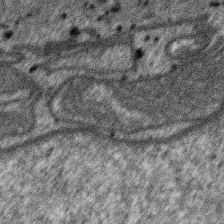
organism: Human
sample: Lung epithelial cells infected with SARS-CoV-2